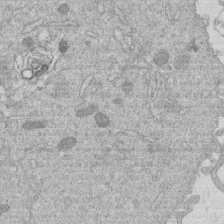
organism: Human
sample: Macrophage cells